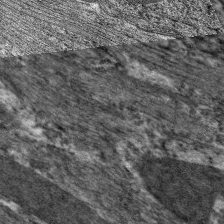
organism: C. elegans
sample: Pharynx